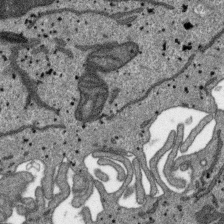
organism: Human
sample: Lung epithelial cells, uninfected (mock) control